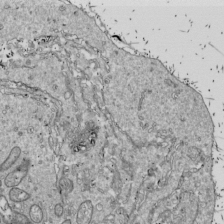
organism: Drosophila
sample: Cell division; meiosis; drosophila spermatocytes